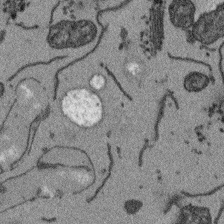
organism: Arabidopsis thaliana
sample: Root tip